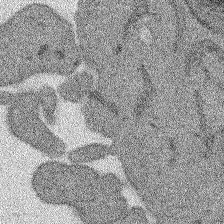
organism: Human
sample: HeLa cells